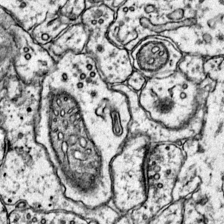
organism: Mouse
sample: Primary visual cortex